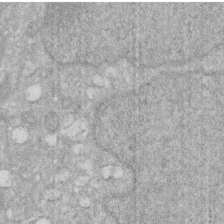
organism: Human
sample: HIV infected U937 cells